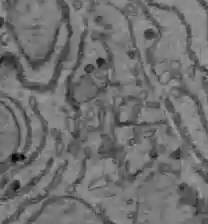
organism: C57BL Mouse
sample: Liver